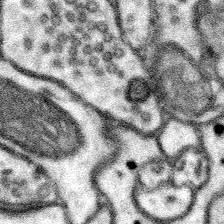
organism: Mouse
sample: Somatosensory cortex neuropil